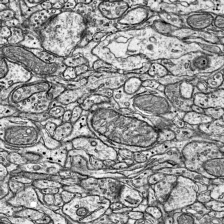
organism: Mouse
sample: Visual Cortex